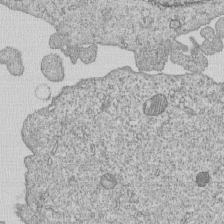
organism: Human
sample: MDA-MB-231 cells